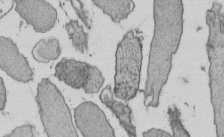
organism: E. coli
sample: Bacterial nucleoid